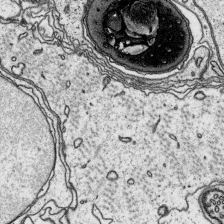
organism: Platynereis dumerilii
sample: Parapodia